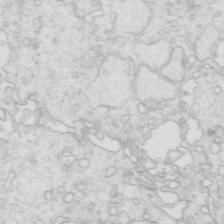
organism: Mouse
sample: Multiciliated cells